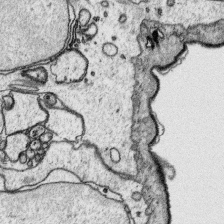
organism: Platynereis dumerilii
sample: Parapodia